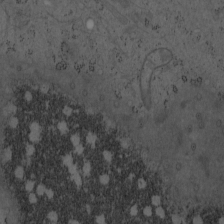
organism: Mouse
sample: OT-I killer T cells with ID8 ovarian cancer cells